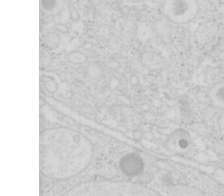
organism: Mouse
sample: Pancreas